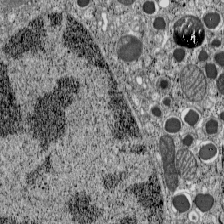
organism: C57BL Mouse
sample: Pancreatic islet